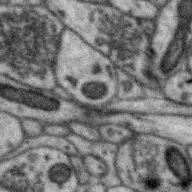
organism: Zebra finch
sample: Brain